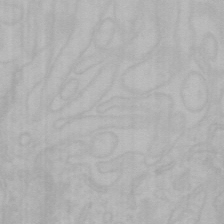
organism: Mouse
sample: Choroid plexus